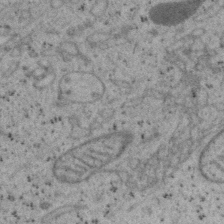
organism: Human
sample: HeLa cells